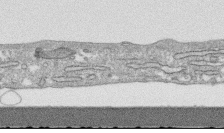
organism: Human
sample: CRL-1474